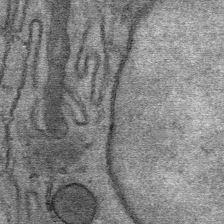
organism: Mouse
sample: Mouse Salivary gland